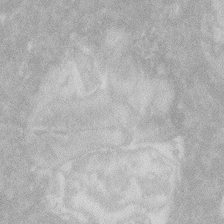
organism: Zebrafish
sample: Macrophage